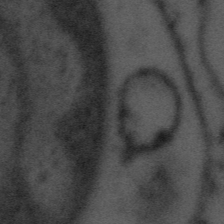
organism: Tuwongella immobilis